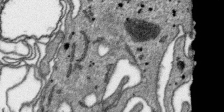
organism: Human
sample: Lung epithelial cells, uninfected (mock) control